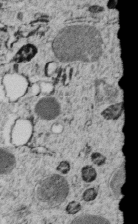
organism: C. elegans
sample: C. elegans embryo early stage